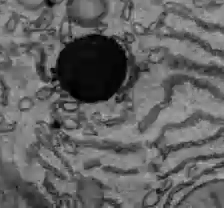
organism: C57BL Mouse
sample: Liver